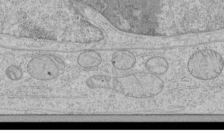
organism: Human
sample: Mitochondria in HCT116 cells